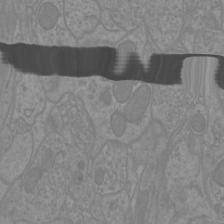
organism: Mouse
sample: Cortical neurons